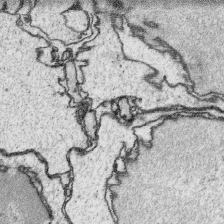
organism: Platynereis dumerilii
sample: Parapodia